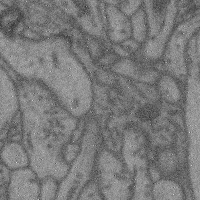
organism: Mouse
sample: Cerebral cortex